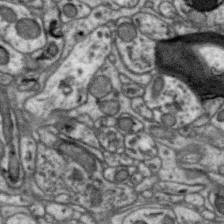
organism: Zebra finch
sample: Brain